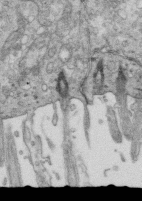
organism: Mouse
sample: Multiciliated cells